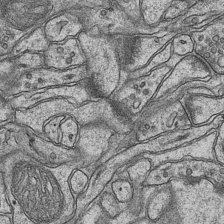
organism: Mouse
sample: CA1 Hippocampus